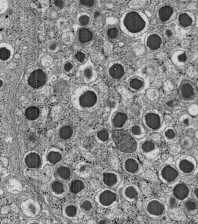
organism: C57BL Mouse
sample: Pancreatic islet